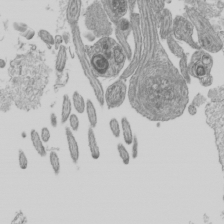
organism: Mouse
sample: Cilia; mouse epididymis